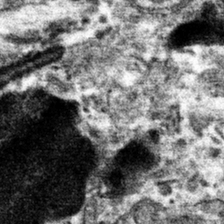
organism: Mouse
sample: Mouse hepatocytes